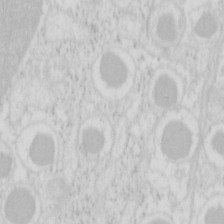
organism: Mouse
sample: Pancreas